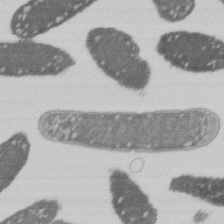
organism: E. coli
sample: Bacterial nucleoid